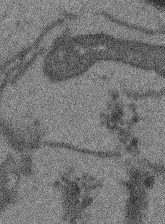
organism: Arabidopsis thaliana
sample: Root tip